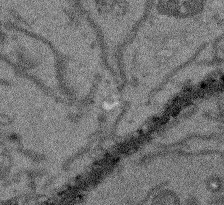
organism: Arabidopsis thaliana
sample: Root tip